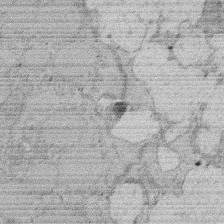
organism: Rat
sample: Salivary granule